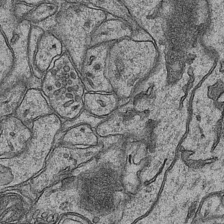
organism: Mouse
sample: CA1 Hippocampus